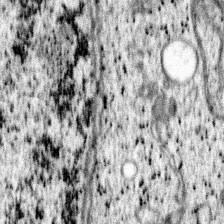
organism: Human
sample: HeLa cells